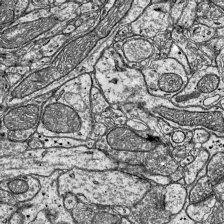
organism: Mouse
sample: Visual Cortex